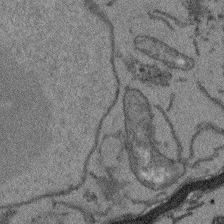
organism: Arabidopsis thaliana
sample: Root tip